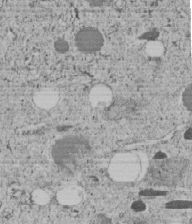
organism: C. elegans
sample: C. elegans embryo early stage